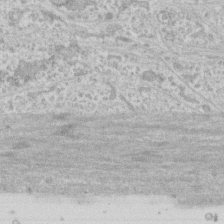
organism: Human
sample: CRL-1474